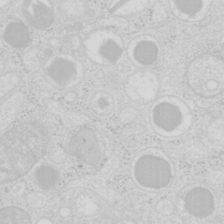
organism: Mouse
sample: Pancreas